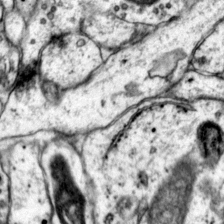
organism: Mouse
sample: Primary visual cortex